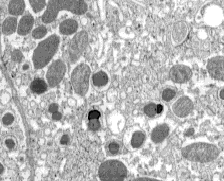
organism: C57BL Mouse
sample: Pancreatic islet